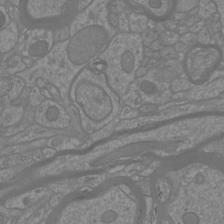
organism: Mouse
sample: Cortical neurons